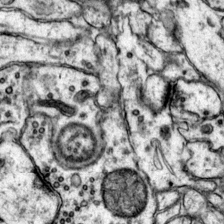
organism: Mouse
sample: Primary visual cortex